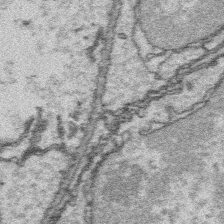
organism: Platynereis dumerilii